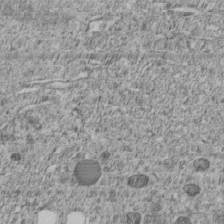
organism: C. elegans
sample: C. elegans embryo early stage